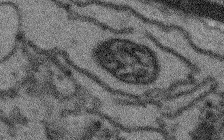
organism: Arabidopsis thaliana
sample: Root tip